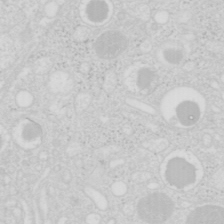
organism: Mouse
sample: Pancreas